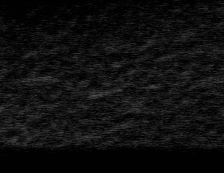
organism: Human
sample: HeLa cells